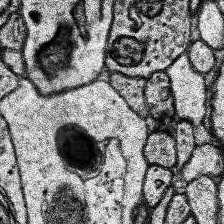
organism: Human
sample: Temporal Lobe